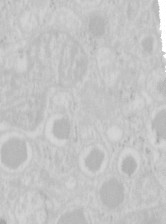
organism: Mouse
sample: Pancreas